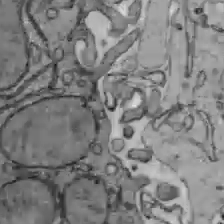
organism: C57BL Mouse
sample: Liver